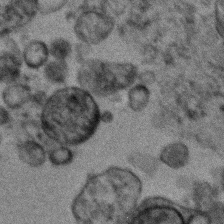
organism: Human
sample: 1205lu cells